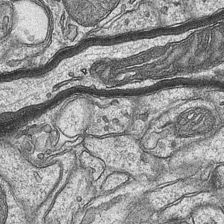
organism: Mouse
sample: CA1 Hippocampus